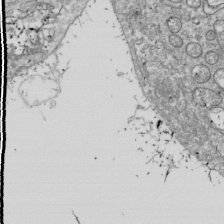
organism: Drosophila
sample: Cell division; meiosis; drosophila spermatocytes